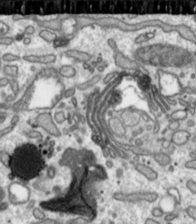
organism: Toxoplasma gondii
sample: Parasites in a vacuole inside a host cell